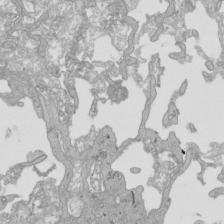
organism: Human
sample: Mitochondria in HCT116 cells